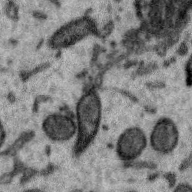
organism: Zebra finch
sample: Brain